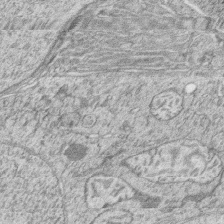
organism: Zebrafish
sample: synaptic ribbons in rod cells and cone cells